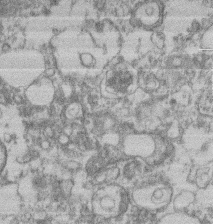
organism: Mouse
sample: T cell stromal cell synapse